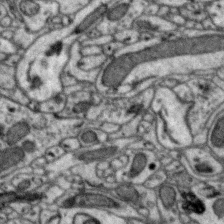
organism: Zebra finch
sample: Brain